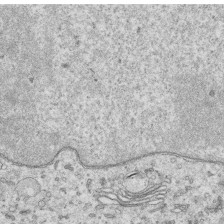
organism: Human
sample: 1205lu cells